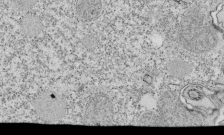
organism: Tetrahymena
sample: Cilia in tetrahymena